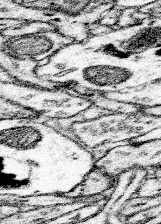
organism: Mouse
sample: Somatosensory cortex neuropil